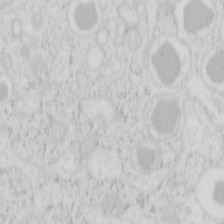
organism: Mouse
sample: Pancreas